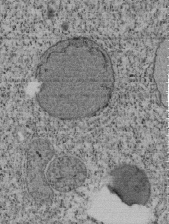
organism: Tetrahymena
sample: Cilia in tetrahymena